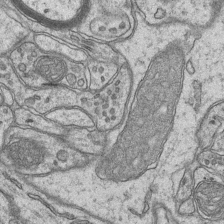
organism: Mouse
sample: CA1 Hippocampus